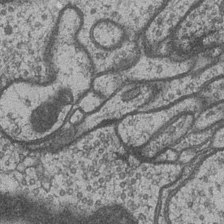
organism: Drosophila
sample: Optic medulla